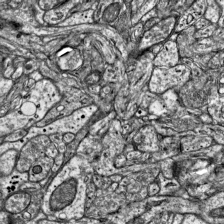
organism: Mouse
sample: Visual Cortex